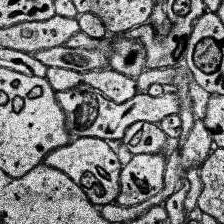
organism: Human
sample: Temporal Lobe